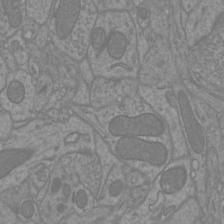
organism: Mouse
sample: Cortical neurons